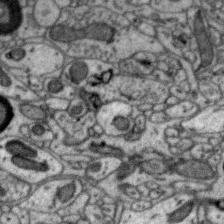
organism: Zebra finch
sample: Brain